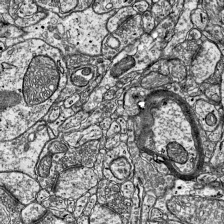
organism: Mouse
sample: Visual Cortex